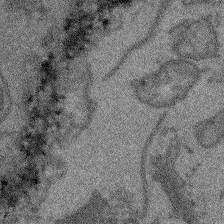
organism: Arabidopsis thaliana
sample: Root tip